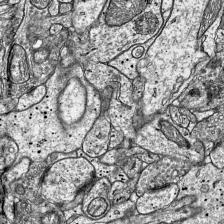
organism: Mouse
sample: Visual Cortex